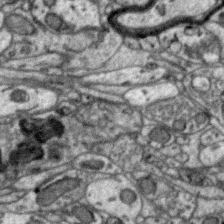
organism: Zebra finch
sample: Brain